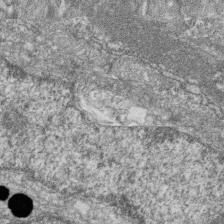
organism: Zebrafish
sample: Cilia; retinal pigment epithelium